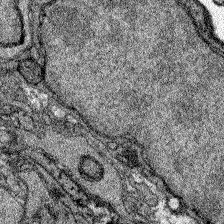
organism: Zebrafish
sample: Larval olfactory bulb